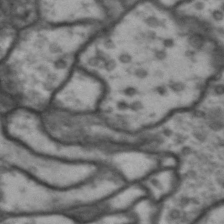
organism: Drosophila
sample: Brain